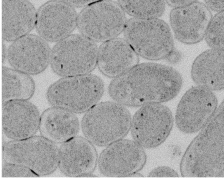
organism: E. coli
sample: Bacterial nucleoid